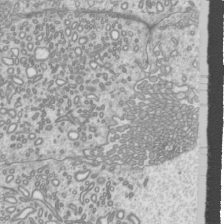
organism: Mouse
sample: Cilia; mouse epididymis